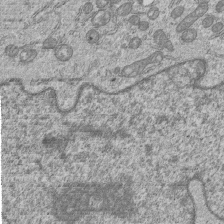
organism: Human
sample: MDA-MB-231 cells